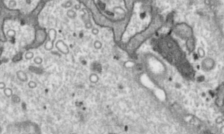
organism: Toxoplasma gondii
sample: Parasites in a vacuole inside a host cell